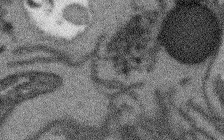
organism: Arabidopsis thaliana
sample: Root tip